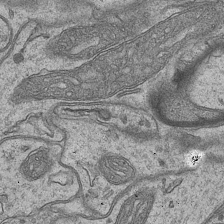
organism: Mouse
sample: CA1 Hippocampus